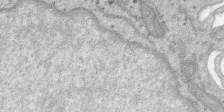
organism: Human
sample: Lung epithelial cells infected with SARS-CoV-2